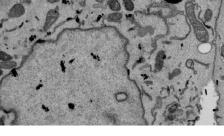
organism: Mouse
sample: ED-1 cell nuclei; centrioles